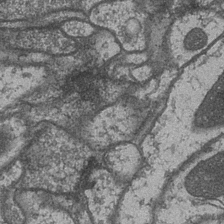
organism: Drosophila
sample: Optic medulla